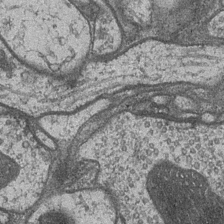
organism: Drosophila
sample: Optic medulla